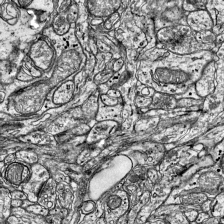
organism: Mouse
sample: Visual Cortex